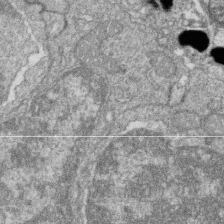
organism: Zebrafish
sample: Cilia; retinal pigment epithelium